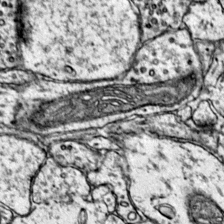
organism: Mouse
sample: Primary visual cortex